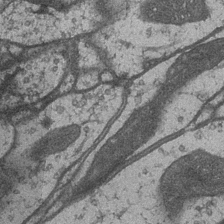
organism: Drosophila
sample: Optic medulla